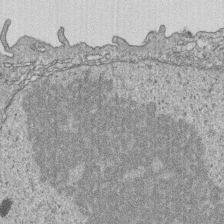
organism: Human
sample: HeLa cell HIV synapse